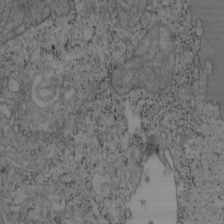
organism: Mouse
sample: OT-I killer T cells with ID8 ovarian cancer cells